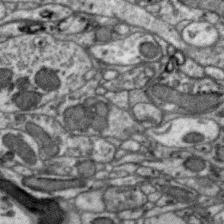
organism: Zebra finch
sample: Brain